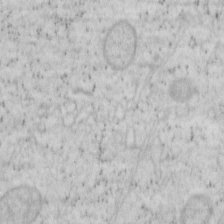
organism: Human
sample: HeLa cells